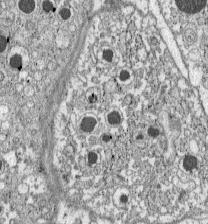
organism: C57BL Mouse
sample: Pancreatic islet